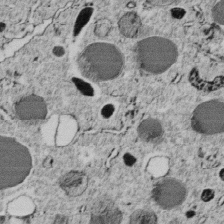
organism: C. elegans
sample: C. elegans embryo early stage